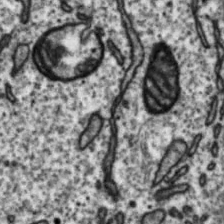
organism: Human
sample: HeLa cells